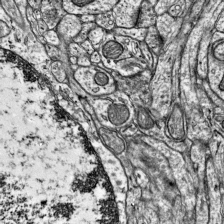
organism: Mouse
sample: Visual Cortex